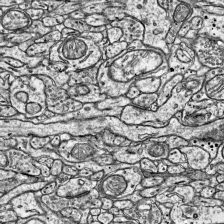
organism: Mouse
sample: Visual Cortex